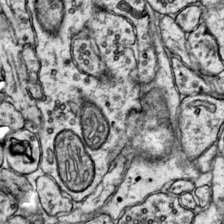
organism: Mouse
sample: Primary visual cortex